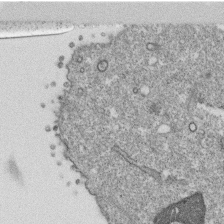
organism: African green monkey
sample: Vero E6 cells infected with SARS-CoV-2